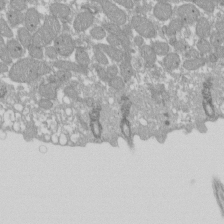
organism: Xenopus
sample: Cilia; centrioles in frog embryo cells